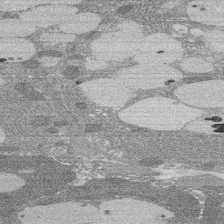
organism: Rat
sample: Salivary granule